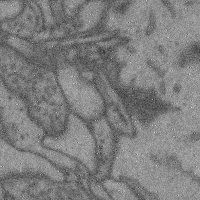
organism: Mouse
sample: Cerebral cortex